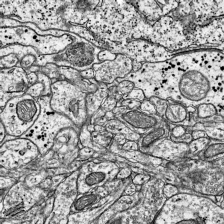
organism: Mouse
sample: Visual Cortex